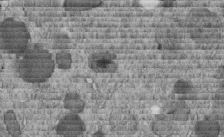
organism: C. elegans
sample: C. elegans embryo early stage